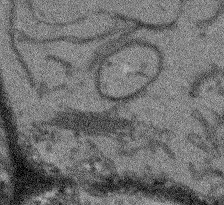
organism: Arabidopsis thaliana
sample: Root tip